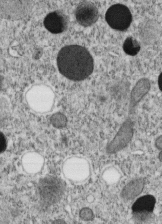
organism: C. elegans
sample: C. elegans embryo early stage